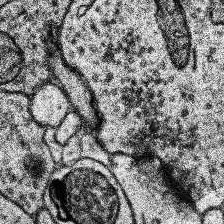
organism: Human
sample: Temporal Lobe